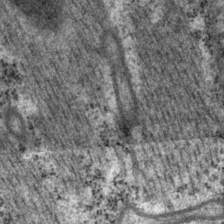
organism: P. pacificus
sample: Pharynx